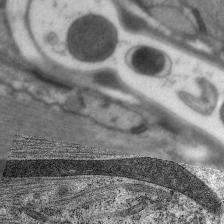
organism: C. elegans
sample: Pharynx